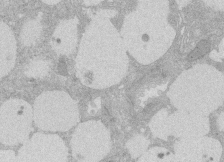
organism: Rat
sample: Salivary granule